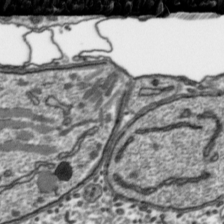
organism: Toxoplasma gondii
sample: Parasites in a vacuole inside a host cell